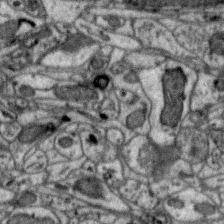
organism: Zebra finch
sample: Brain